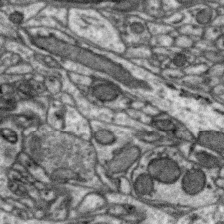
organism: Zebra finch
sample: Brain